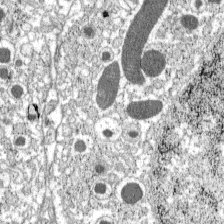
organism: C57BL Mouse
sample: Pancreatic islet